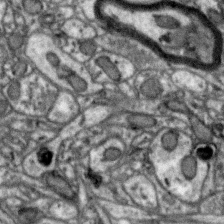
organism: Zebra finch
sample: Brain